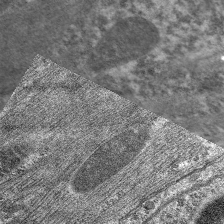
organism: C. elegans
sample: Pharynx